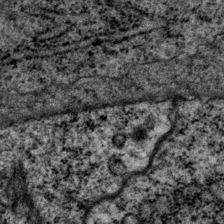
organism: P. pacificus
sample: Pharynx